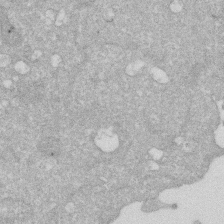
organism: Human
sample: HIV infected U937 cells